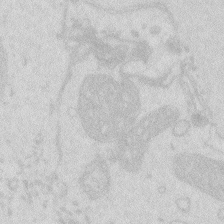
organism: Zebrafish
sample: Macrophage